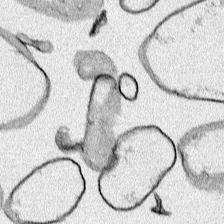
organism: Human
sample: Mitochondria in HCT116 cells